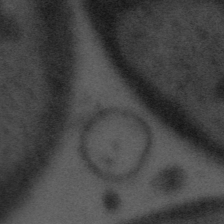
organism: Tuwongella immobilis